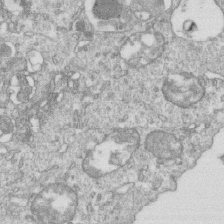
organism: Mouse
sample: Activated OT-1 CD8+ T cells